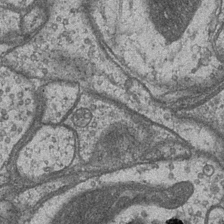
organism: Drosophila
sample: Optic medulla